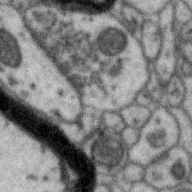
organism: Zebra finch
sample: Brain